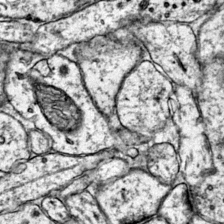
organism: Mouse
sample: Primary visual cortex